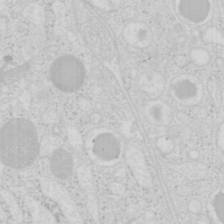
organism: Mouse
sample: Pancreas